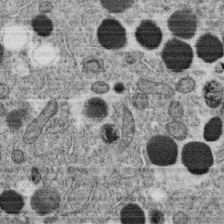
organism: C. elegans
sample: C. elegans oocyte; sperm cells